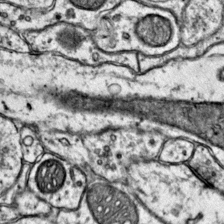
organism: Mouse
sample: Primary visual cortex